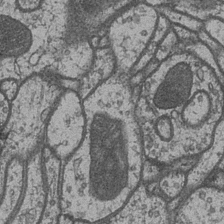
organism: Drosophila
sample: Optic medulla